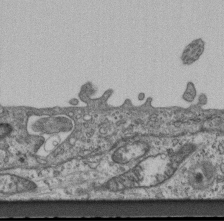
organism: Mouse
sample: Centriole in ependymal cells